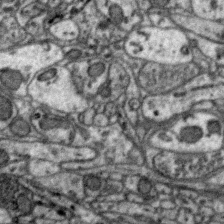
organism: Zebra finch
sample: Brain